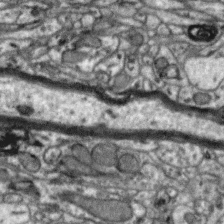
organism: Zebra finch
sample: Brain